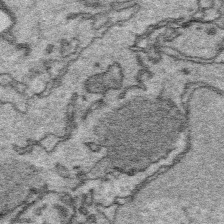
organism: Platynereis dumerilii